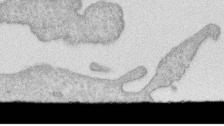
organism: Human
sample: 1205lu cells